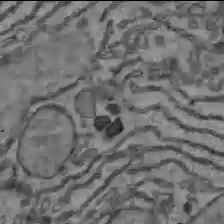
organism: C57BL Mouse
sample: Liver